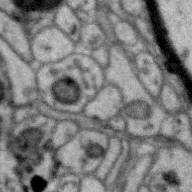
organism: Zebra finch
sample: Brain